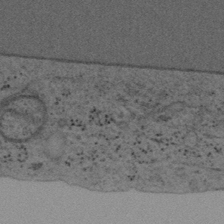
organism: Human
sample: HeLa cells